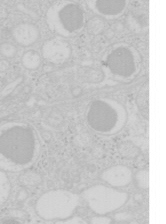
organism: Mouse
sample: Pancreas